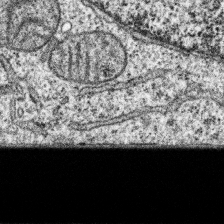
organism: Human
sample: HeLa cells